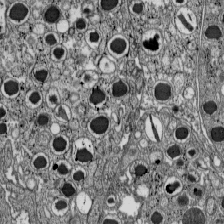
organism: C57BL Mouse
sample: Pancreatic islet